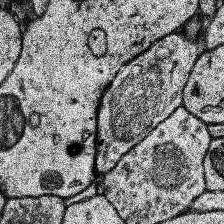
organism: Human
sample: Temporal Lobe